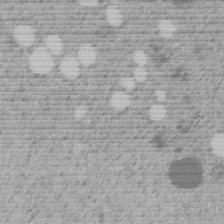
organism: C. elegans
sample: C. elegans embryo early stage